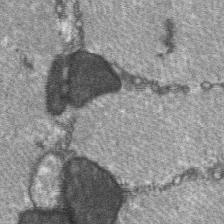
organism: C57BL Mouse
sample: Soleus